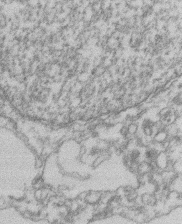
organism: Mouse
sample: T cell stromal cell synapse